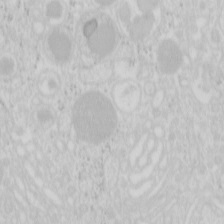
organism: Mouse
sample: Pancreas